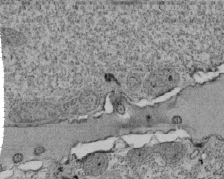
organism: Tetrahymena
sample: Cilia in tetrahymena